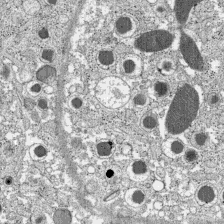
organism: C57BL Mouse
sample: Pancreatic islet